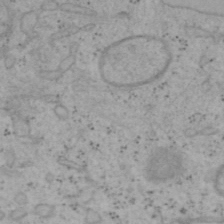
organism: Human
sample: HeLa cells